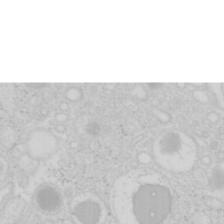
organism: Mouse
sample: Pancreas